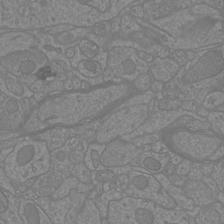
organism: Mouse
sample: Cortical neurons